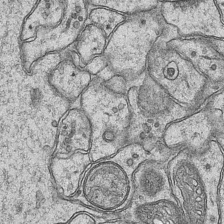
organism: Mouse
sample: CA1 Hippocampus